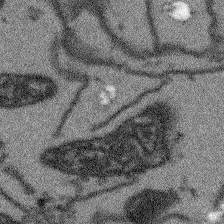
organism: Arabidopsis thaliana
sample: Root tip